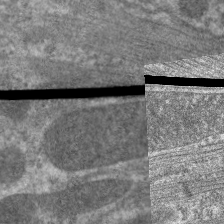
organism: C. elegans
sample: Pharynx